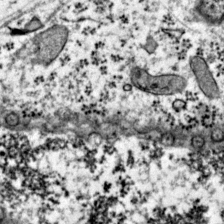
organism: Mouse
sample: Primary visual cortex